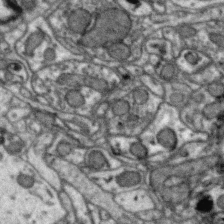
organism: Zebra finch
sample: Brain